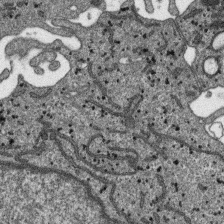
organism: Human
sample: Lung epithelial cells infected with SARS-CoV-2